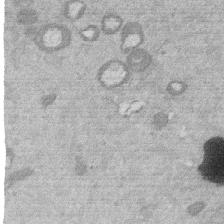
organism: Mouse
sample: Dividing mouse embryo 1 cell stage